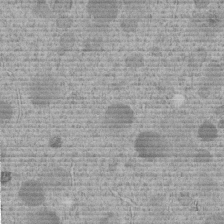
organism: C. elegans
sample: C. elegans embryo early stage